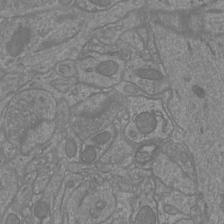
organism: Mouse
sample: Cortical neurons